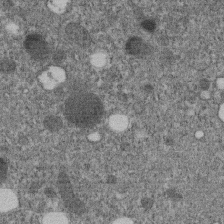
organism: C. elegans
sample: C. elegans embryo early stage